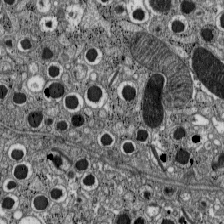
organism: C57BL Mouse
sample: Pancreatic islet